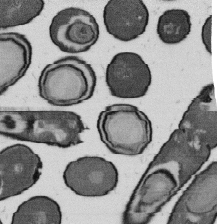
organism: B. subtilis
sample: Bacterial spore